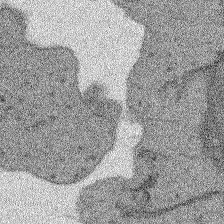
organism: Human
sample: HeLa cells